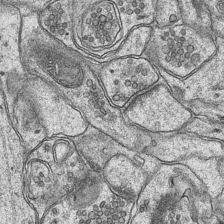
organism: Mouse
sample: CA1 Hippocampus